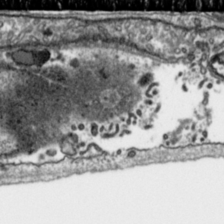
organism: Toxoplasma gondii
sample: Parasites in a vacuole inside a host cell